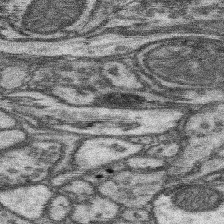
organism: Mouse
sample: Somatosensory cortex neuropil